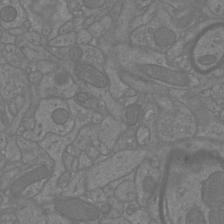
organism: Mouse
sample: Cortical neurons